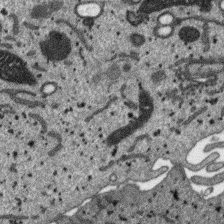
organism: Human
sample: Lung epithelial cells infected with SARS-CoV-2